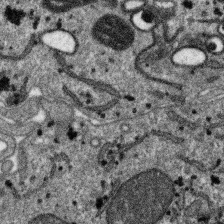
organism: Human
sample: Lung epithelial cells infected with SARS-CoV-2